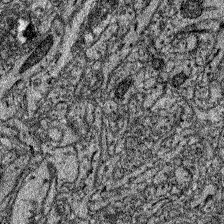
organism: Zebrafish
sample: Larval olfactory bulb